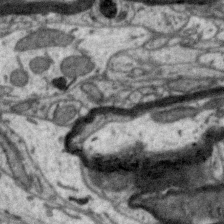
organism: Zebra finch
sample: Brain